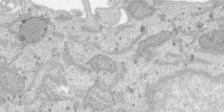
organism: Human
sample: Lung epithelial cells infected with SARS-CoV-2